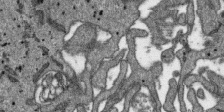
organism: Human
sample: Lung epithelial cells, uninfected (mock) control